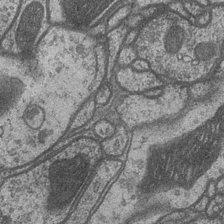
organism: Drosophila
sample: Optic medulla